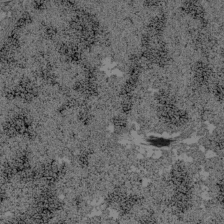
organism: C57BL Mouse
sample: Pancreatic islet